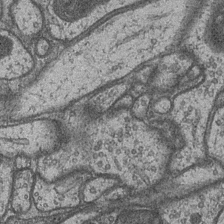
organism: Drosophila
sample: Optic medulla